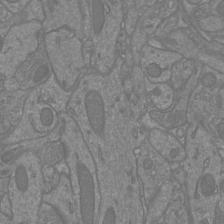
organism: Mouse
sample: Cortical neurons